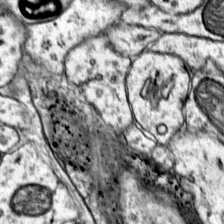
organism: Mouse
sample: Primary visual cortex